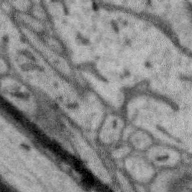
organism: Zebra finch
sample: Brain